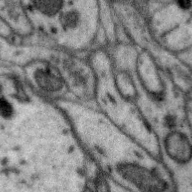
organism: Zebra finch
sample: Brain